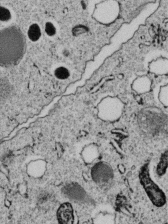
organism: C. elegans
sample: C. elegans embryo early stage